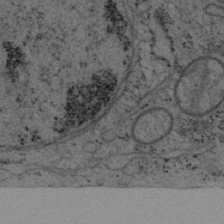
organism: Human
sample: HeLa cells